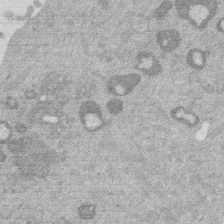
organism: Mouse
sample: Dividing mouse embryo 1 cell stage